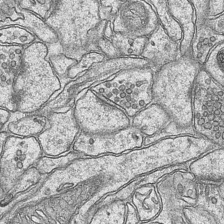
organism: Mouse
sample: CA1 Hippocampus